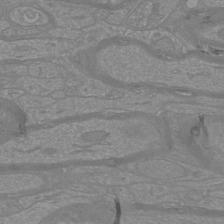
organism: Mouse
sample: Cortical neurons